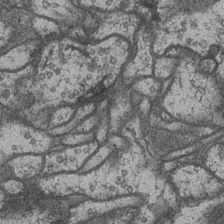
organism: Drosophila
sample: Optic medulla